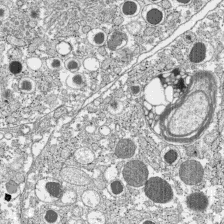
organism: C57BL Mouse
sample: Pancreatic islet